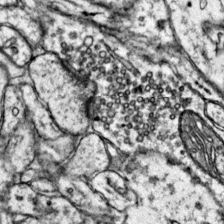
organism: Mouse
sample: Primary visual cortex